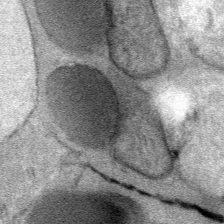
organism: Mouse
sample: Mouse Salivary gland